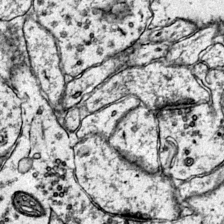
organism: Mouse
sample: Primary visual cortex